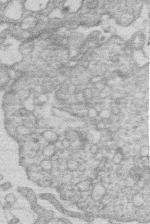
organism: Human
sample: Macrophage cells